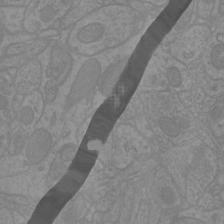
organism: Mouse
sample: Cortical neurons